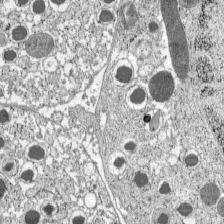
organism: C57BL Mouse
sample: Pancreatic islet